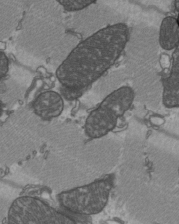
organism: C57BL Mouse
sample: Heart